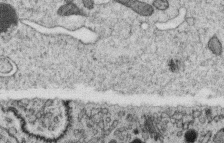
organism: C. elegans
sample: C. elegans oocyte; sperm cells